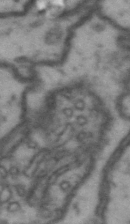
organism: Drosophila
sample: Brain